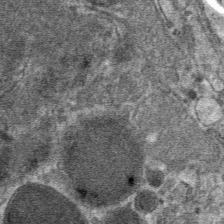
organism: Mouse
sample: Mouse hepatocytes